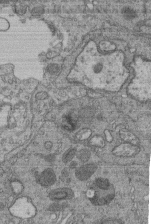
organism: Human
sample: Retinal organoid Rod and Cone cells